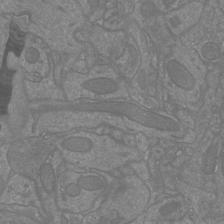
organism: Mouse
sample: Cortical neurons